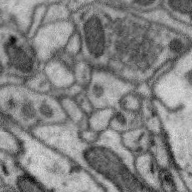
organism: Zebra finch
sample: Brain